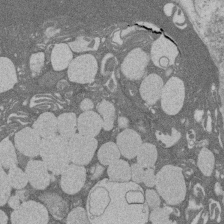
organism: Rat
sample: Salivary granule